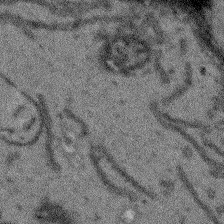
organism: Arabidopsis thaliana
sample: Root tip